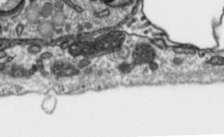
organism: Toxoplasma gondii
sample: Parasites in a vacuole inside a host cell